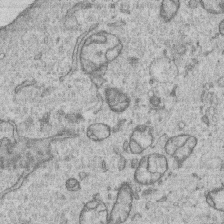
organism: Human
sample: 1205lu cells